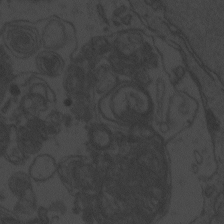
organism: Zebrafish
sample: Macrophage infected with Toxoplasma gondii